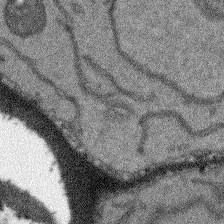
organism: Arabidopsis thaliana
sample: Root tip